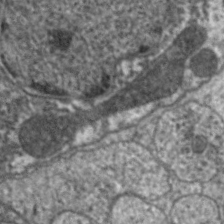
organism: C. elegans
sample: Pharynx